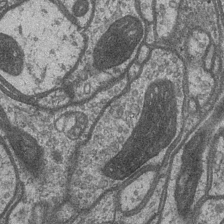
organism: Drosophila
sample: Optic medulla